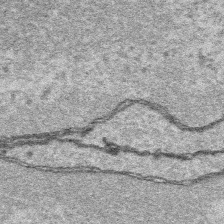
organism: Platynereis dumerilii